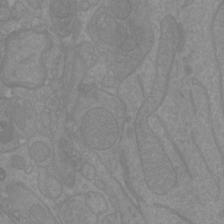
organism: Mouse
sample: Cortical neurons